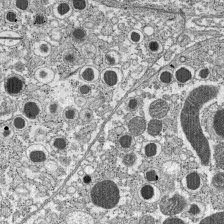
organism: C57BL Mouse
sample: Pancreatic islet